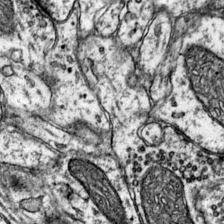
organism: Mouse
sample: Primary visual cortex